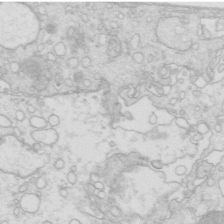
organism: Mouse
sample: Multiciliated cells